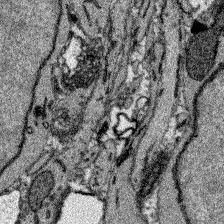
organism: Zebrafish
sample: Larval olfactory bulb